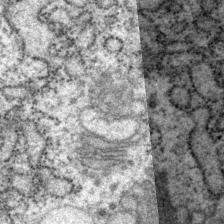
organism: P. pacificus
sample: Pharynx